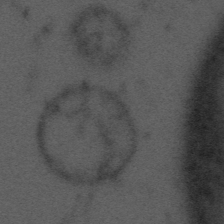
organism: Tuwongella immobilis